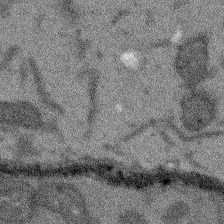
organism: Arabidopsis thaliana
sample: Root tip